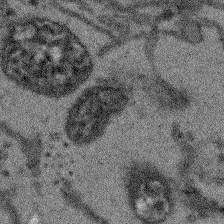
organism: Arabidopsis thaliana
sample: Root tip